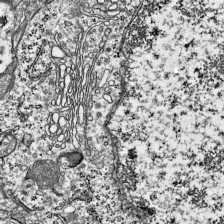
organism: Mouse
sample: Visual Cortex